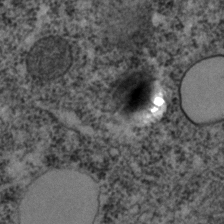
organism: C. elegans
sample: C. elegans embryo